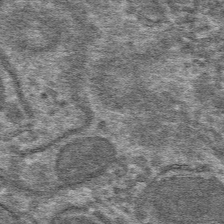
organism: Mouse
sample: Mouse hepatocytes